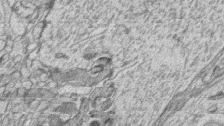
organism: Zebrafish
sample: synaptic ribbons in rod cells and cone cells